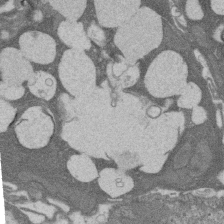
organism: Rat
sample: Salivary granule